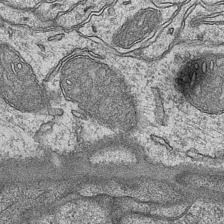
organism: Mouse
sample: CA1 Hippocampus